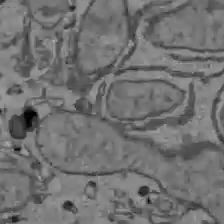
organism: C57BL Mouse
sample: Liver